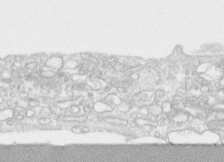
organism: Human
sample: CRL-1474